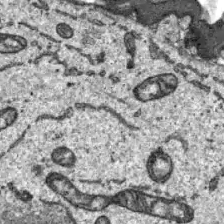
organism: Human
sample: HeLa cells